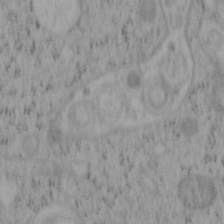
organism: Mouse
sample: OT-I killer T cells with ID8 ovarian cancer cells